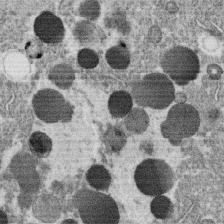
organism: C. elegans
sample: C. elegans oocyte; sperm cells